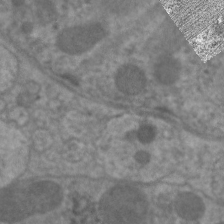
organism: C. elegans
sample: Pharynx